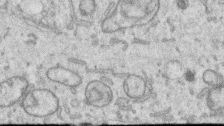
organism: Human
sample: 1205lu cells